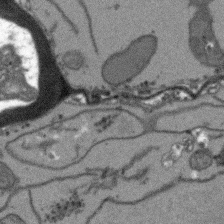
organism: Arabidopsis thaliana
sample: Root tip